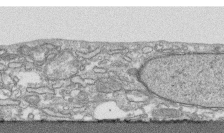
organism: Human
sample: CRL-1474